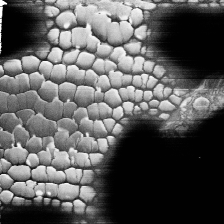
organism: Tetrahymena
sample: Cilia in tetrahymena